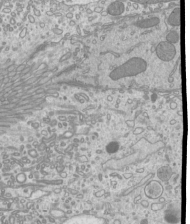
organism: Mouse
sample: Cilia; mouse epididymis